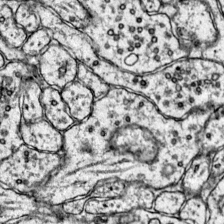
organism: Mouse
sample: Primary visual cortex